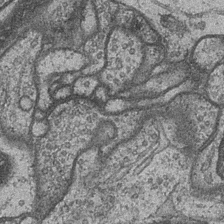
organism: Drosophila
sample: Optic medulla